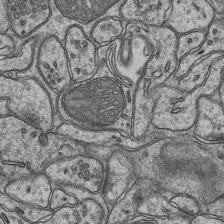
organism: Mouse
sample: CA1 Hippocampus